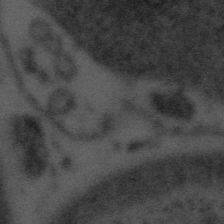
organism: Tuwongella immobilis